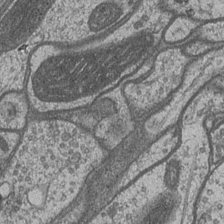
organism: Drosophila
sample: Optic medulla